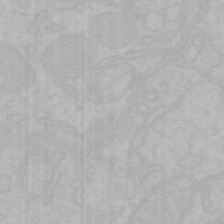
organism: Mouse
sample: Choroid plexus